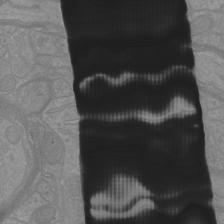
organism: Mouse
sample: Cortical neurons